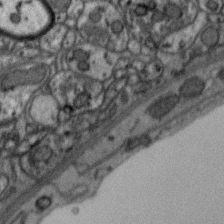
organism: Zebra finch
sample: Brain